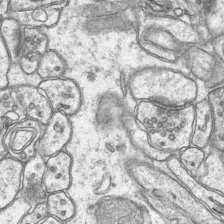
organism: Mouse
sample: CA1 Hippocampus